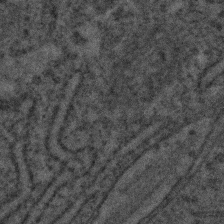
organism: C. elegans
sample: C. elegans embryo